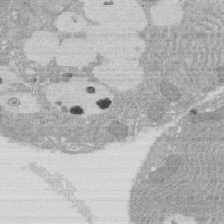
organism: Rat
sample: Salivary granule